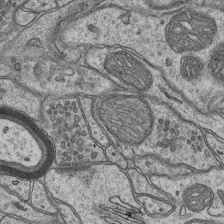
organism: Mouse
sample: CA1 Hippocampus